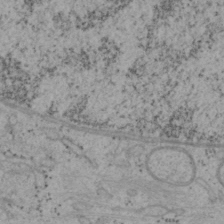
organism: Human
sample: HeLa cells